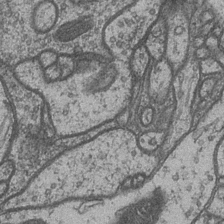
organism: Drosophila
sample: Optic medulla